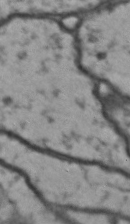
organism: Drosophila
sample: Brain